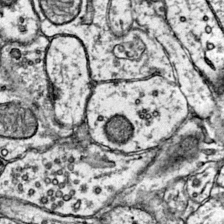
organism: Mouse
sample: Primary visual cortex